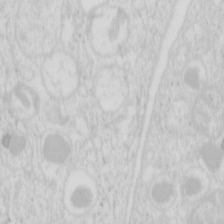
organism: Mouse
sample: Pancreas